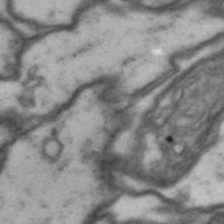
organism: Drosophila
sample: Brain